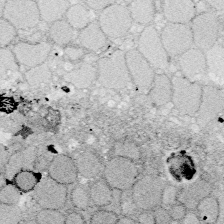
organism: Zebrafish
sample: Whole-Brain